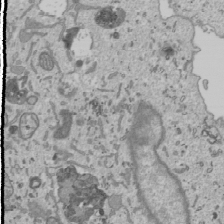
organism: Human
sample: Mitochondria in U2OS cells